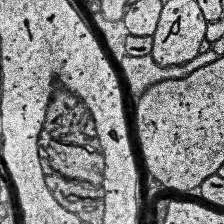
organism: Human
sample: Temporal Lobe